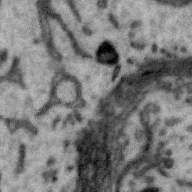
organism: Zebra finch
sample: Brain